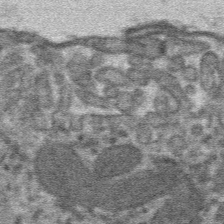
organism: Mouse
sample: Mouse hepatocytes